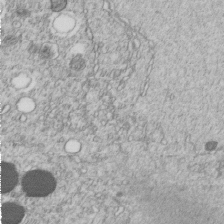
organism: C. elegans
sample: C. elegans embryo early stage